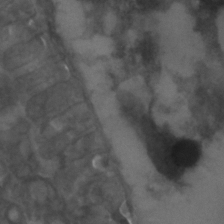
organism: C. elegans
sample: C. elegans embryo